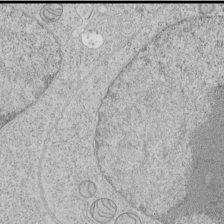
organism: Human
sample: Mitochondria in HCT116 cells